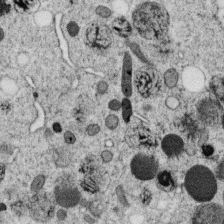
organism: C. elegans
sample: C. elegans oocyte; sperm cells